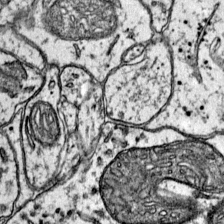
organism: Mouse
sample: Primary visual cortex